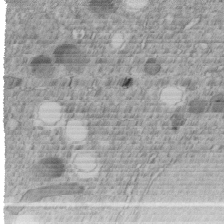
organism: C. elegans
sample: C. elegans embryo early stage